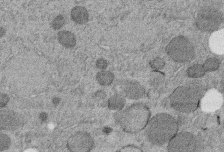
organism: C. elegans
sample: C. elegans embryo early stage